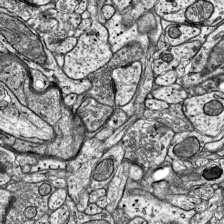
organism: Mouse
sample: Visual Cortex